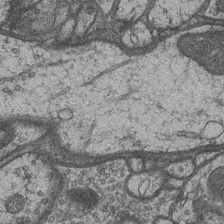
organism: Drosophila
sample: Optic medulla